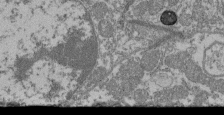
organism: Mouse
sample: Glomerulus